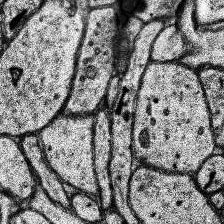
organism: Human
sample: Temporal Lobe